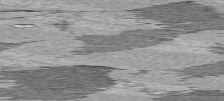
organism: C57BL Mouse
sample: Heart